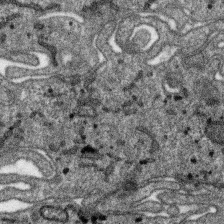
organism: Human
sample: Lung epithelial cells infected with SARS-CoV-2